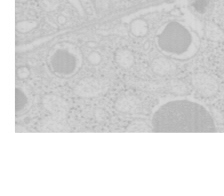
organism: Mouse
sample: Pancreas